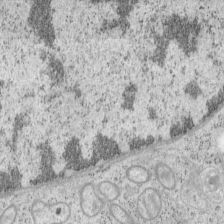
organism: Mouse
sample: OT-I killer T cells with ID8 ovarian cancer cells